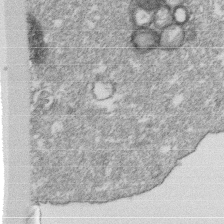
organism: African green monkey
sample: Vero E6 cells infected with SARS-CoV-2